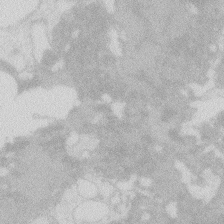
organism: Zebrafish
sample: Macrophage